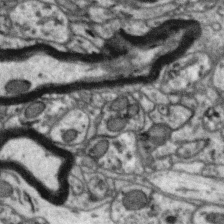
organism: Zebra finch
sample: Brain